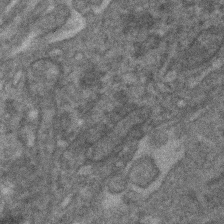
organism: Human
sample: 1205lu cells